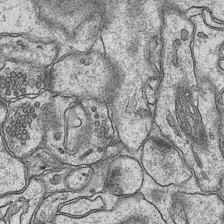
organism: Mouse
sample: CA1 Hippocampus